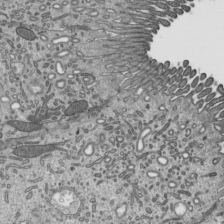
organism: Mouse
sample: Mouse epididymis efferent ductule cilia